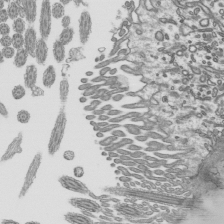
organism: Mouse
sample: Mouse epididymis efferent ductule cilia